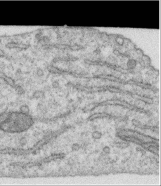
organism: Human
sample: Centriole in RPE cells